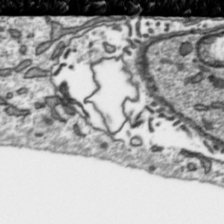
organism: Toxoplasma gondii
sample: Parasites in a vacuole inside a host cell